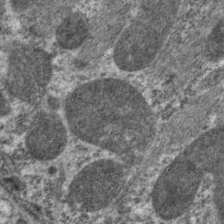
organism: C. elegans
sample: Pharynx